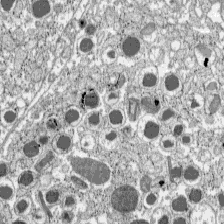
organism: C57BL Mouse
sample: Pancreatic islet